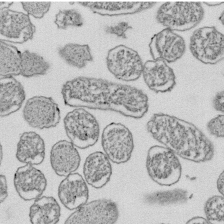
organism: E. coli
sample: Bacterial nucleoid